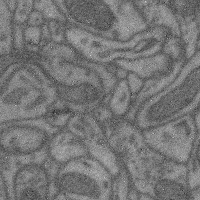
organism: Mouse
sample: Cerebral cortex